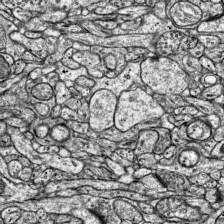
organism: Mouse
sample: Visual Cortex